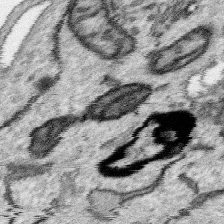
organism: Human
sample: HeLa cells